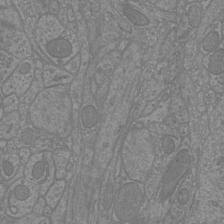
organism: Mouse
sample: Cortical neurons